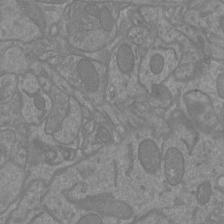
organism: Mouse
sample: Cortical neurons